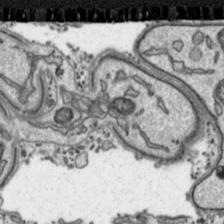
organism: Toxoplasma gondii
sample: Parasites in a vacuole inside a host cell